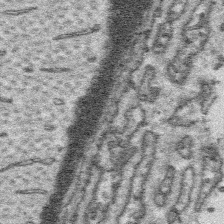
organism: Platynereis dumerilii